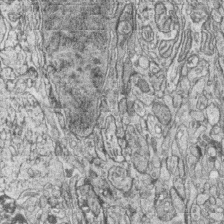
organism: Zebrafish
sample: synaptic ribbons in rod cells and cone cells